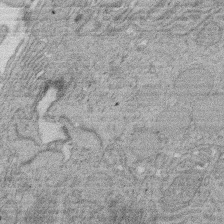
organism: Rat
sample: Salivary granule